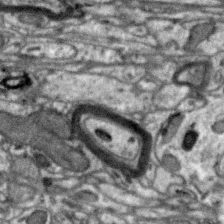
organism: Zebra finch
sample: Brain